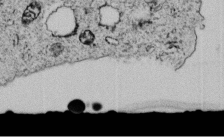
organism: C. elegans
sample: C. elegans embryo early stage